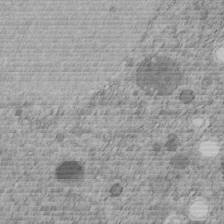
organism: C. elegans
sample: C. elegans embryo early stage